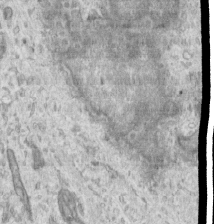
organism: Human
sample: Centriole in RPE cells